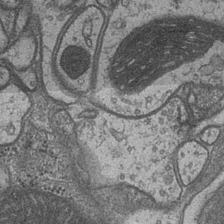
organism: Drosophila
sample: Optic medulla